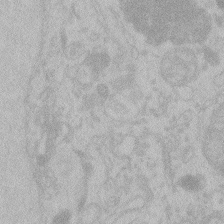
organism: Zebrafish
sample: Macrophage infected with Toxoplasma gondii